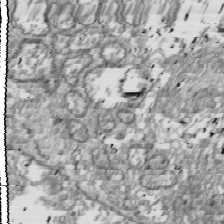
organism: Drosophila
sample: Cell division; meiosis; drosophila spermatocytes